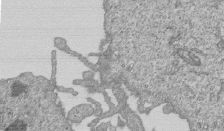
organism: Human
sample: MDA-MB-231 cells